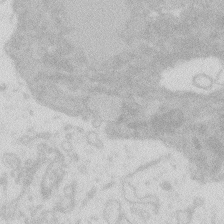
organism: Zebrafish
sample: Macrophage